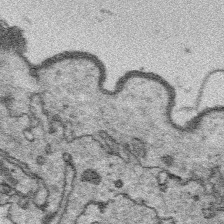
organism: Platynereis dumerilii